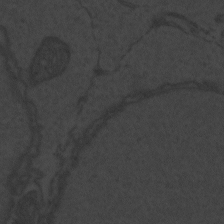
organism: Zebrafish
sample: Macrophage infected with Toxoplasma gondii